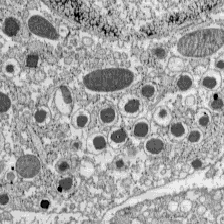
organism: C57BL Mouse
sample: Pancreatic islet